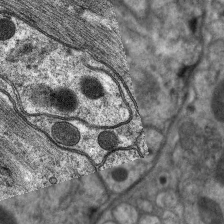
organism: C. elegans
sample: Pharynx